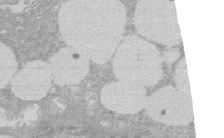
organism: Rat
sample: Salivary granule